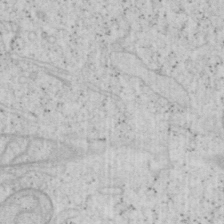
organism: Human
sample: HeLa cells